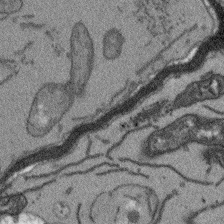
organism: Arabidopsis thaliana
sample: Root tip